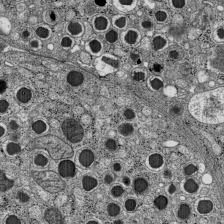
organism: C57BL Mouse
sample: Pancreatic islet